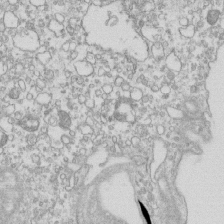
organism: Mouse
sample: Macrophages